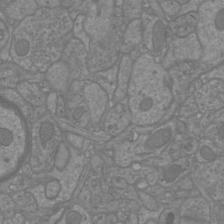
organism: Mouse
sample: Cortical neurons